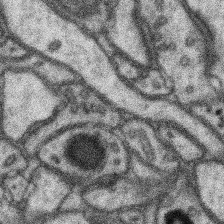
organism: Mouse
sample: Somatosensory cortex neuropil